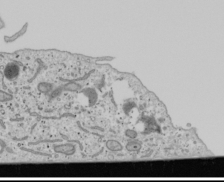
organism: Human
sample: Mitochondria in U2OS cells